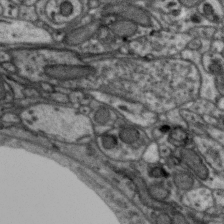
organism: Zebra finch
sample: Brain